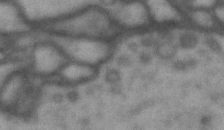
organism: Drosophila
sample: Brain